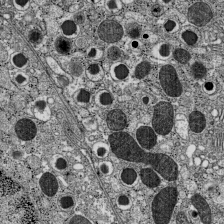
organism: C57BL Mouse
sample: Pancreatic islet